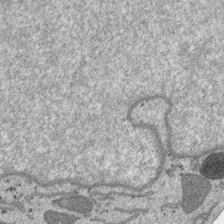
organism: Human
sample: Lung epithelial cells infected with SARS-CoV-2